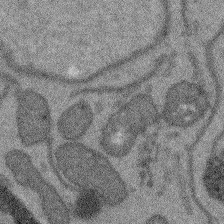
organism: Arabidopsis thaliana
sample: Root tip